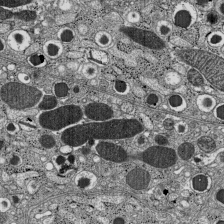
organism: C57BL Mouse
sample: Pancreatic islet